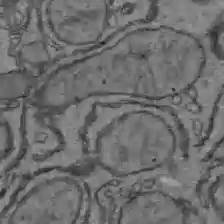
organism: C57BL Mouse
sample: Liver